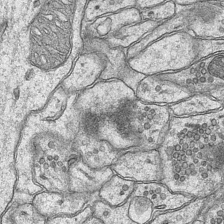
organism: Mouse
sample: CA1 Hippocampus